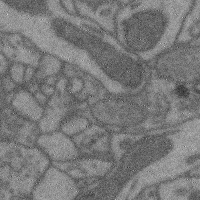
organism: Mouse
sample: Cerebral cortex